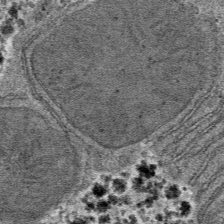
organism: Mouse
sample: Mouse hepatocytes